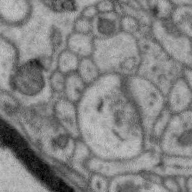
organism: Zebra finch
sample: Brain